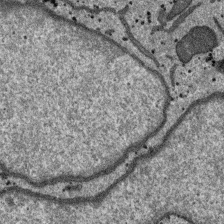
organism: Human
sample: Lung epithelial cells, uninfected (mock) control